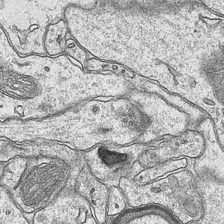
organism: Mouse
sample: CA1 Hippocampus